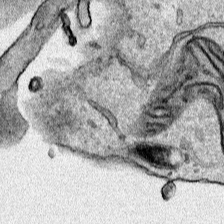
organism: Human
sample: Mitochondria in HCT116 cells